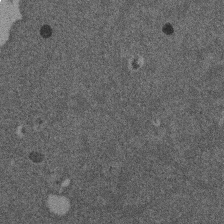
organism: Mouse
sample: Dividing mouse embryo 1 cell stage